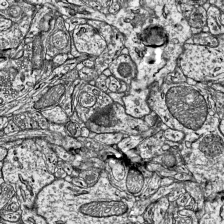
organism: Mouse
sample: Visual Cortex